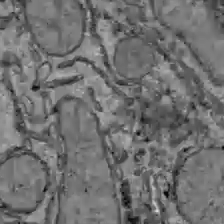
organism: C57BL Mouse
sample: Liver